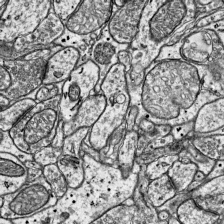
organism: Mouse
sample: Visual Cortex